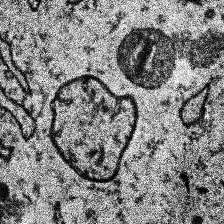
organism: Human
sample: Temporal Lobe